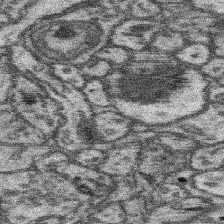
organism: Mouse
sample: Somatosensory cortex neuropil